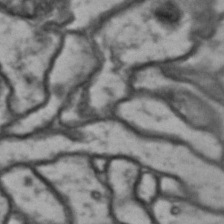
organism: Drosophila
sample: Brain